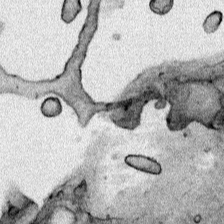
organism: Human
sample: Mitochondria in HCT116 cells